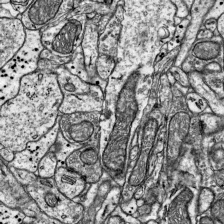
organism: Mouse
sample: Visual Cortex